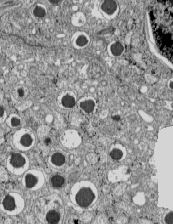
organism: C57BL Mouse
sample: Pancreatic islet